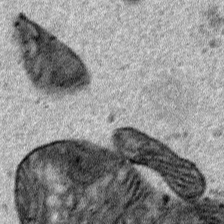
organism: Human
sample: Mitochondria in HCT116 cells